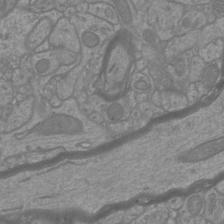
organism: Mouse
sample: Cortical neurons